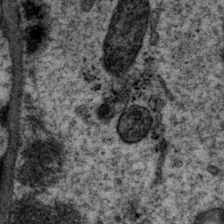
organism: P. pacificus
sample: Pharynx